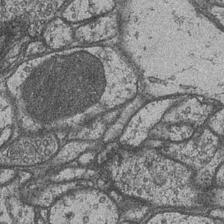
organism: Drosophila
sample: Optic medulla